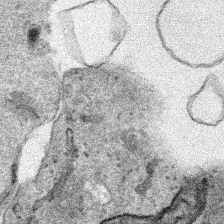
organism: Human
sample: Mitochondria in HCT116 cells